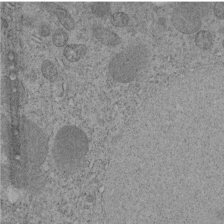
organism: C. elegans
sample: C. elegans embryo early stage